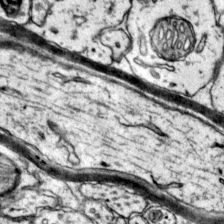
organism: Mouse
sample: Primary visual cortex